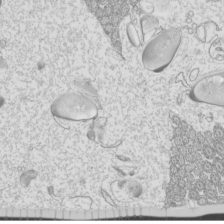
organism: Mouse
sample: Cilia; mouse epididymis